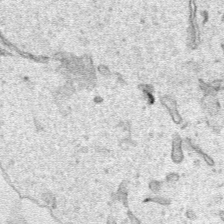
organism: Human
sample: Mitochondria in HCT116 cells